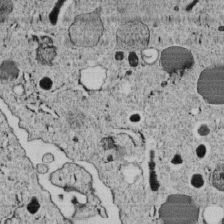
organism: C. elegans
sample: C. elegans embryo early stage